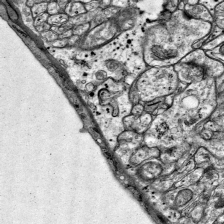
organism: Mouse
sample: Visual Cortex